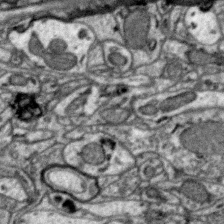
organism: Zebra finch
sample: Brain